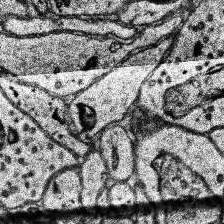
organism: Human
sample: Temporal Lobe